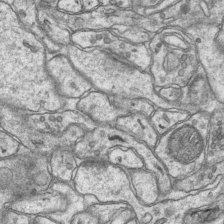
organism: Mouse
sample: CA1 Hippocampus